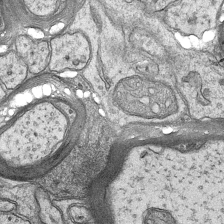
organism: Mouse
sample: CA1 Hippocampus